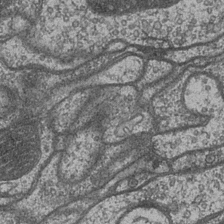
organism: Drosophila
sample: Optic medulla